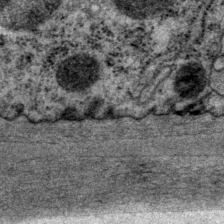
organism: P. pacificus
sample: Pharynx